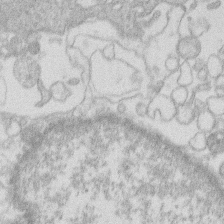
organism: Human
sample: Macrophage cells